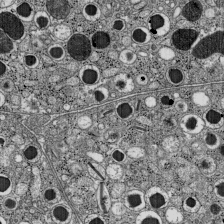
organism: C57BL Mouse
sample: Pancreatic islet